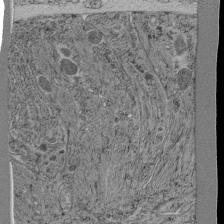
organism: C. elegans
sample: C. elegans pharynx